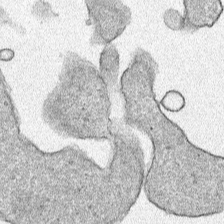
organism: Human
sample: Mitochondria in HCT116 cells